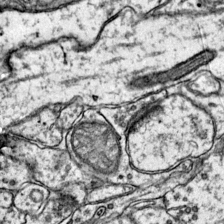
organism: Mouse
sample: Primary visual cortex